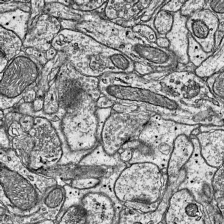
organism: Mouse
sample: Visual Cortex